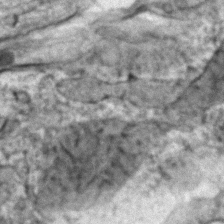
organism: Zebrafish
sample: Zebrafish embryo